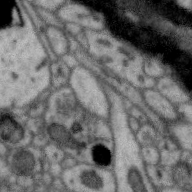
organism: Zebra finch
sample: Brain